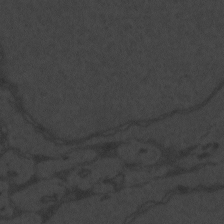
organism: Zebrafish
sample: Macrophage infected with Toxoplasma gondii